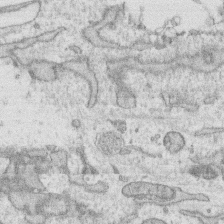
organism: Human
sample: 1205lu cells